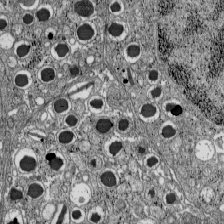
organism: C57BL Mouse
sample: Pancreatic islet